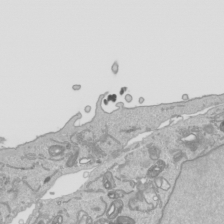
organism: Human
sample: Mitochondria in HCT116 cells